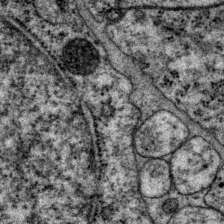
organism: P. pacificus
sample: Pharynx